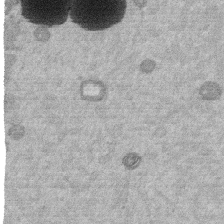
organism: Mouse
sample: Dividing mouse embryo 1 cell stage